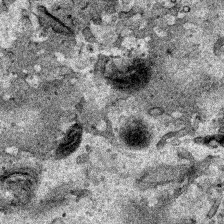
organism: Human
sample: Mitochondria in HCT116 cells